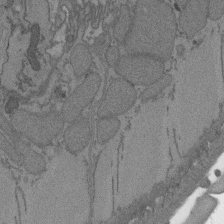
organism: C. elegans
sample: AFD neurons C. elegans